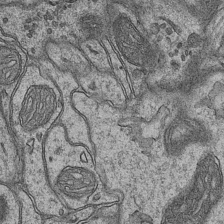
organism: Mouse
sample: CA1 Hippocampus